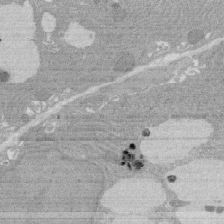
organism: Rat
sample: Salivary granule